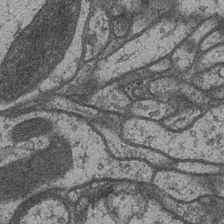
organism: Drosophila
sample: Optic medulla